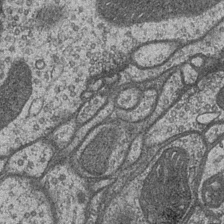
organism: Drosophila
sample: Optic medulla